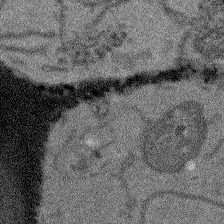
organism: Arabidopsis thaliana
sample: Root tip